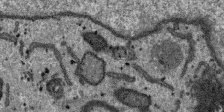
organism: Human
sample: Lung epithelial cells, uninfected (mock) control